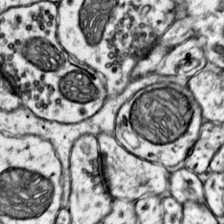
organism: Mouse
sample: Primary visual cortex